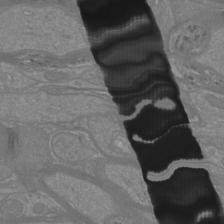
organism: Mouse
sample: Cortical neurons